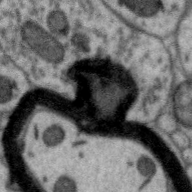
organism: Zebra finch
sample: Brain